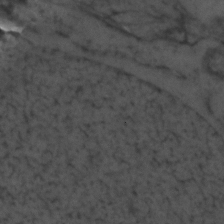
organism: Zebrafish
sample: Zebrafish embryo